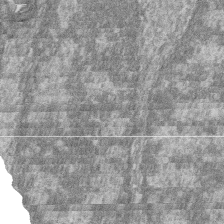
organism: Zebrafish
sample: Cilia; retinal pigment epithelium